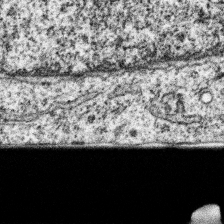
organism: Human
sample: HeLa cells